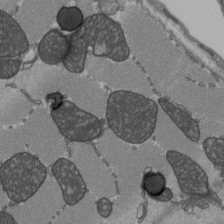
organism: C57BL Mouse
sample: Heart